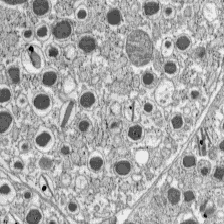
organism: C57BL Mouse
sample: Pancreatic islet